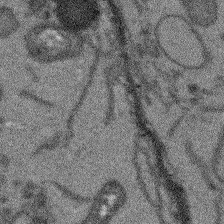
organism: Arabidopsis thaliana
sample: Root tip